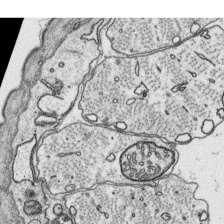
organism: Platynereis dumerilii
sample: Parapodia